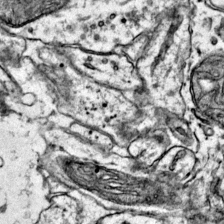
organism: Mouse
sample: Primary visual cortex